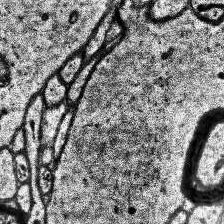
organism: Human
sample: Temporal Lobe